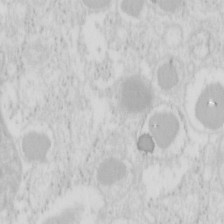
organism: Mouse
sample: Pancreas